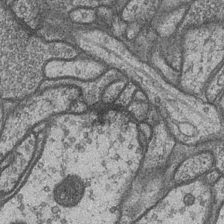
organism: Drosophila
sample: Optic medulla